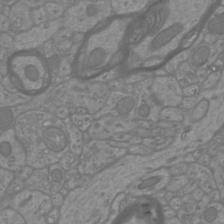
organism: Mouse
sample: Cortical neurons